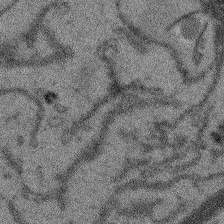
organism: Arabidopsis thaliana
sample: Root tip